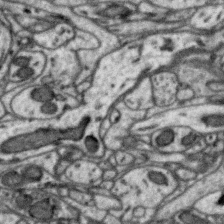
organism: Zebra finch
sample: Brain